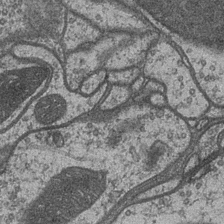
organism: Drosophila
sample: Optic medulla